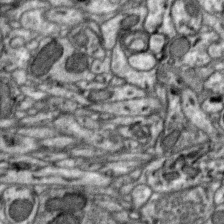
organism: Zebra finch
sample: Brain